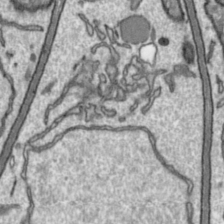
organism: Toxoplasma gondii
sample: Parasites in a vacuole inside a host cell